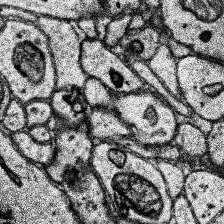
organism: Human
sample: Temporal Lobe